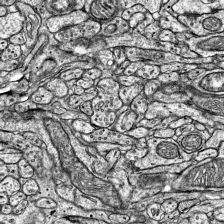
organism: Mouse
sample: Visual Cortex